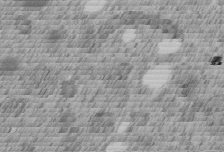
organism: C. elegans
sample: C. elegans embryo early stage